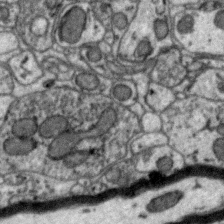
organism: Zebra finch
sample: Brain